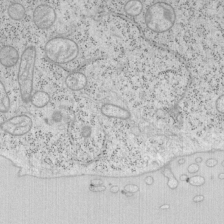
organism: Mouse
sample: OT-I killer T cells with ID8 ovarian cancer cells